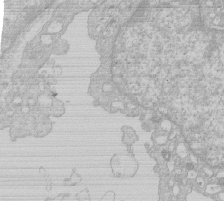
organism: Human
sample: Macrophage cells